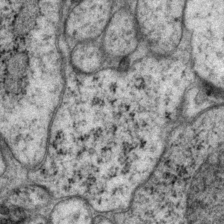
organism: P. pacificus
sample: Pharynx